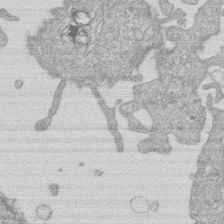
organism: Human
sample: Macrophage cells